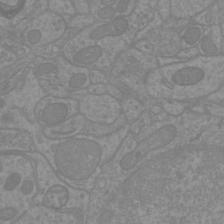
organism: Mouse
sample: Cortical neurons